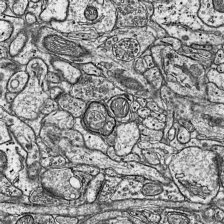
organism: Mouse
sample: Visual Cortex